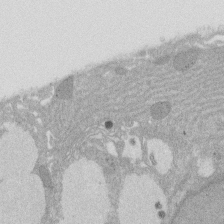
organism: Rat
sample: Salivary granule